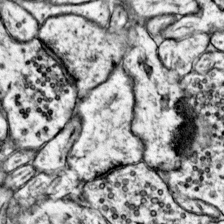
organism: Mouse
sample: Primary visual cortex